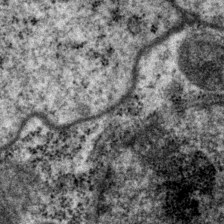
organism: P. pacificus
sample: Pharynx